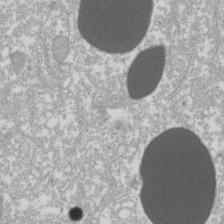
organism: Xenopus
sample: Cilia; centrioles in frog embryo cells